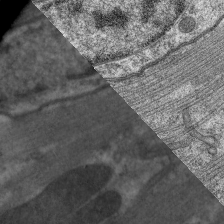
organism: C. elegans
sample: Pharynx